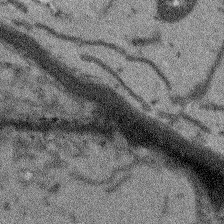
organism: Arabidopsis thaliana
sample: Root tip